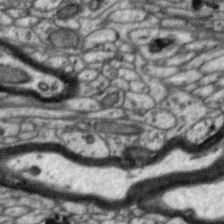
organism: Zebra finch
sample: Brain